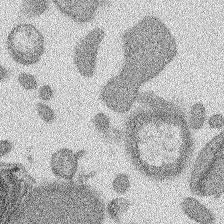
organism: Human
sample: HeLa cells